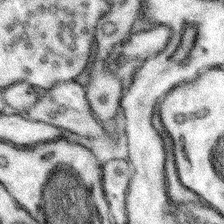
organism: Mouse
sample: Somatosensory cortex neuropil